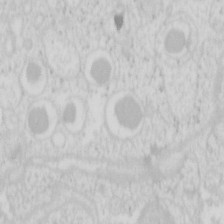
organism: Mouse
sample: Pancreas